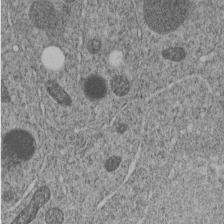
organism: C. elegans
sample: C. elegans embryo early stage